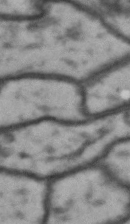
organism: Drosophila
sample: Brain